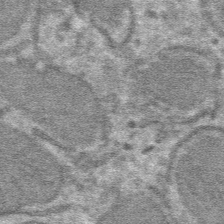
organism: Mouse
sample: Mouse hepatocytes